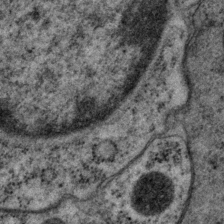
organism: P. pacificus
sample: Pharynx